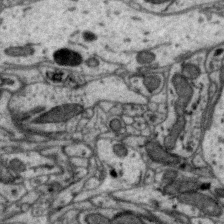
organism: Zebra finch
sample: Brain